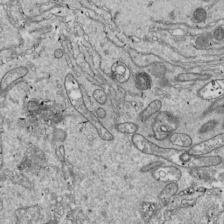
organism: Drosophila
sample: Cell division; meiosis; drosophila spermatocytes